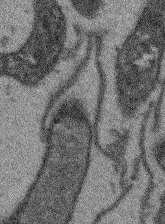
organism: Arabidopsis thaliana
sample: Root tip